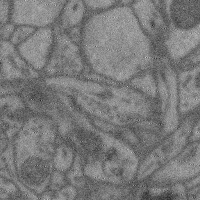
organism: Mouse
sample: Cerebral cortex